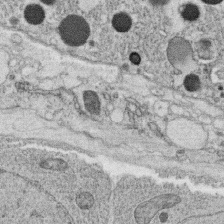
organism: C. elegans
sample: C. elegans oocyte; sperm cells